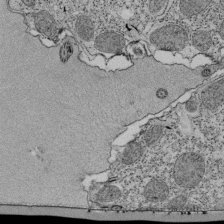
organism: Tetrahymena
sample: Cilia in tetrahymena